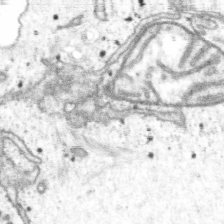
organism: Human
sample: HeLa cells